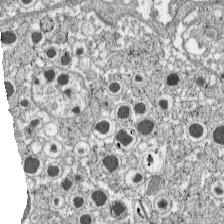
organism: C57BL Mouse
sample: Pancreatic islet